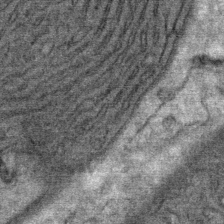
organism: Mouse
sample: Mouse Salivary gland